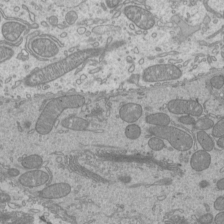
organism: Mouse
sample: Cilia; mouse epididymis